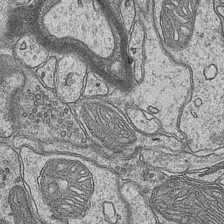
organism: Mouse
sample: CA1 Hippocampus